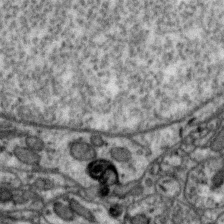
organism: Zebra finch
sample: Brain